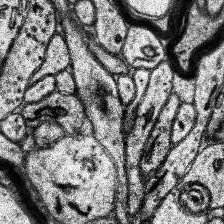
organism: Human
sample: Temporal Lobe